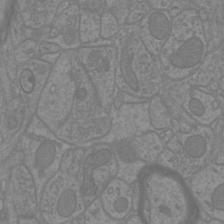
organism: Mouse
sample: Cortical neurons